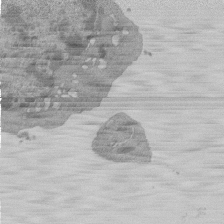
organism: Mouse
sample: Activated Pmel transgenic CD8+ T Cells